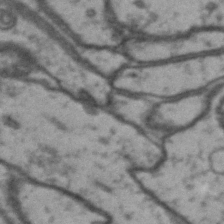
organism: Drosophila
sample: Brain